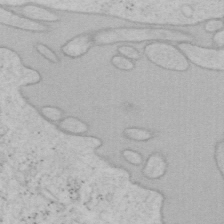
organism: Human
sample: HeLa cells